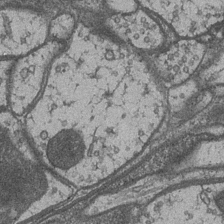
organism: Drosophila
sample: Optic medulla